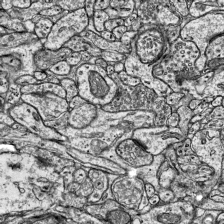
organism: Mouse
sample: Visual Cortex